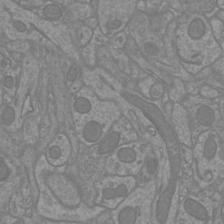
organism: Mouse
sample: Cortical neurons